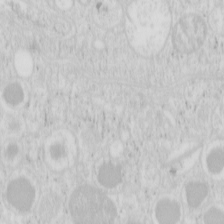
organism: Mouse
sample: Pancreas